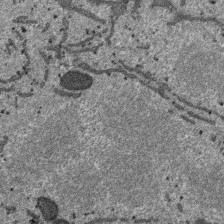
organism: Human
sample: Lung epithelial cells infected with SARS-CoV-2